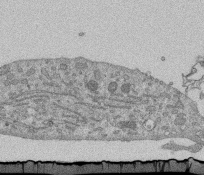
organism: Mouse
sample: ED-1 cell nuclei; centrioles